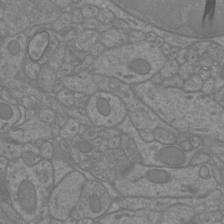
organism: Mouse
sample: Cortical neurons